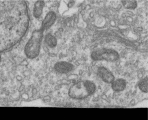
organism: Human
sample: Centriole in RPE cells